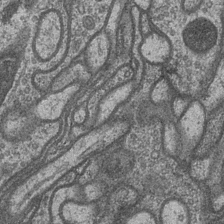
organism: Drosophila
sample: Optic medulla